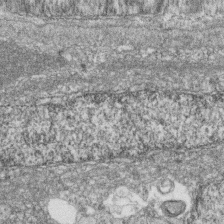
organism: Zebrafish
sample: Cilia; retinal pigment epithelium